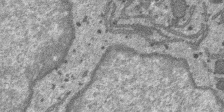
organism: Human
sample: Lung epithelial cells infected with SARS-CoV-2